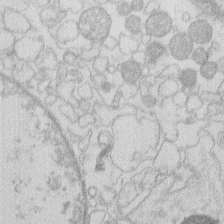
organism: Human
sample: Macrophage cells